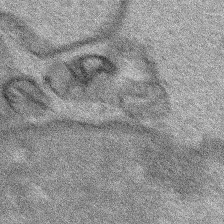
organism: Human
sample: Mitochondria in HCT116 cells